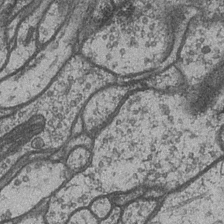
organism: Drosophila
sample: Optic medulla